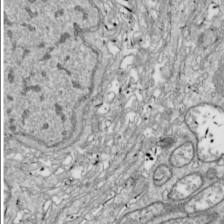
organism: Drosophila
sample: Cell division; meiosis; drosophila spermatocytes